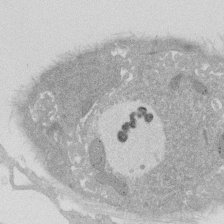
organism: Rat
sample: Salivary granule